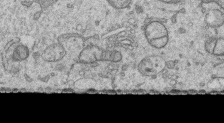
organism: Human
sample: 1205lu cells